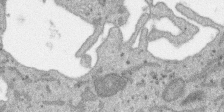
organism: Human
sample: Lung epithelial cells infected with SARS-CoV-2